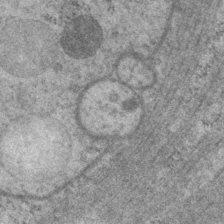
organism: P. pacificus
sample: Pharynx